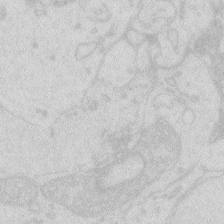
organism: Zebrafish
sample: Macrophage